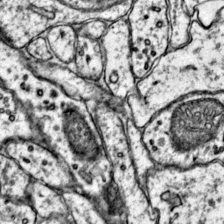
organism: Mouse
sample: Primary visual cortex